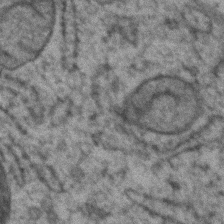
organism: Zebrafish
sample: Zebrafish embryo